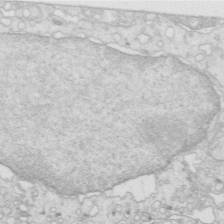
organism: Mouse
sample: Multiciliated cells